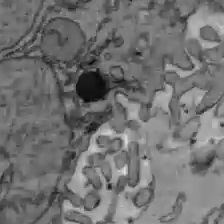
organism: C57BL Mouse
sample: Liver